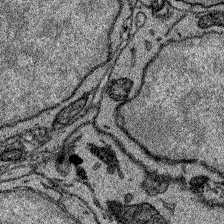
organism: Zebrafish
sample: Larval olfactory bulb